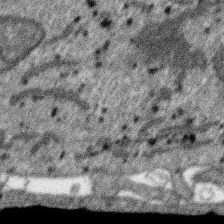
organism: Human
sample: Lung epithelial cells infected with SARS-CoV-2